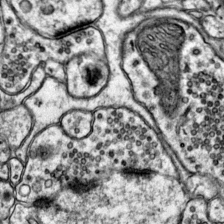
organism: Mouse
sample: Primary visual cortex